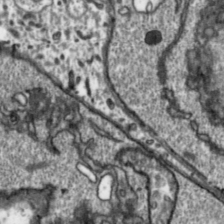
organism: Toxoplasma gondii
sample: Parasites in a vacuole inside a host cell